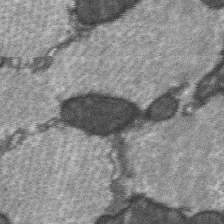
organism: C57BL Mouse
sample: Soleus